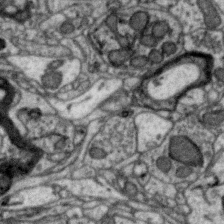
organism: Zebra finch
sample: Brain